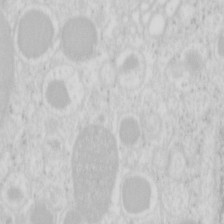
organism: Mouse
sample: Pancreas